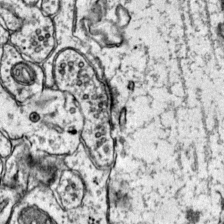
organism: Mouse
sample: Primary visual cortex